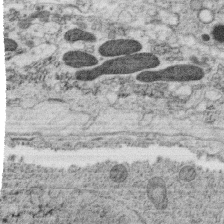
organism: C. elegans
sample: C. elegans oocyte; sperm cells